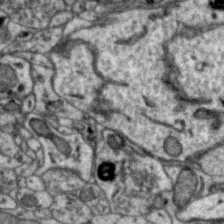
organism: Zebra finch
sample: Brain